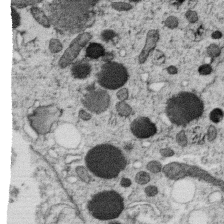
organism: C. elegans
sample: C. elegans oocyte; sperm cells